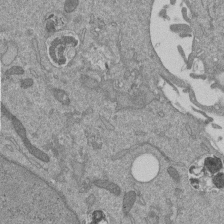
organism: Mouse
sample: ED-1 cell nuclei; centrioles